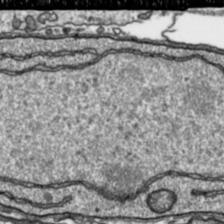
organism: Toxoplasma gondii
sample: Parasites in a vacuole inside a host cell